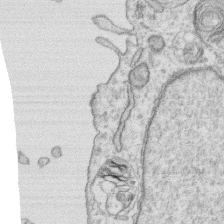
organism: Human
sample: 1205lu cells